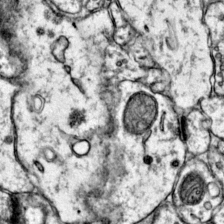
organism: Mouse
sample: Primary visual cortex